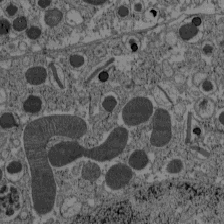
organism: C57BL Mouse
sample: Pancreatic islet